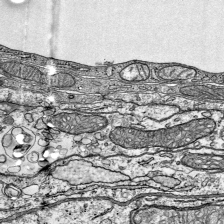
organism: Mouse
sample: Visual Cortex